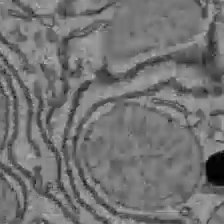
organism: C57BL Mouse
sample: Liver